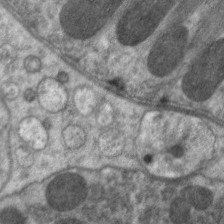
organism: C. elegans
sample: Pharynx